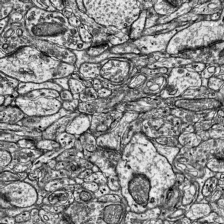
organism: Mouse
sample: Visual Cortex